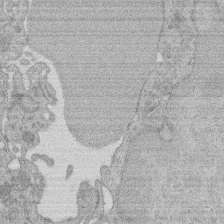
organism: Rat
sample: Salivary granule